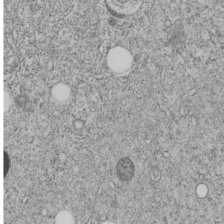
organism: C. elegans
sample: C. elegans embryo early stage